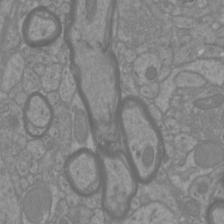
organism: Mouse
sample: Cortical neurons